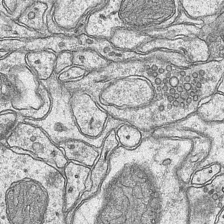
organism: Mouse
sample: CA1 Hippocampus